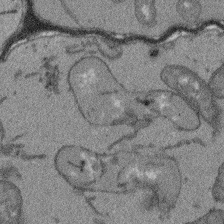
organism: Arabidopsis thaliana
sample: Root tip